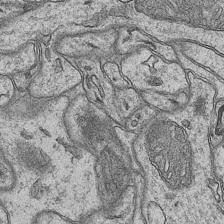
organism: Mouse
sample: CA1 Hippocampus